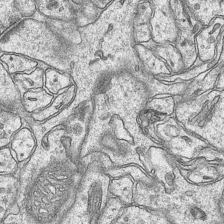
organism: Mouse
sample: CA1 Hippocampus